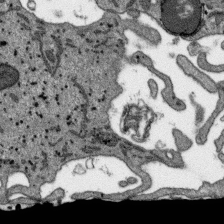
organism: Human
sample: Lung epithelial cells, uninfected (mock) control